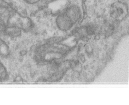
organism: Human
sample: Centriole in RPE cells